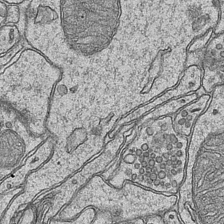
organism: Mouse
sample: CA1 Hippocampus